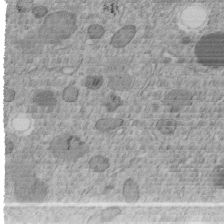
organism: C. elegans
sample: C. elegans embryo early stage